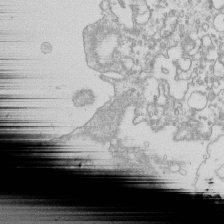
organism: Mouse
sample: Macrophages